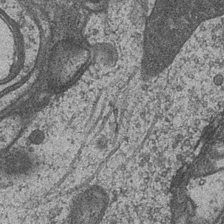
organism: Drosophila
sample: Optic medulla